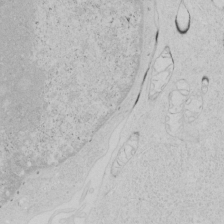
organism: Human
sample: Mitochondria in HCT116 cells